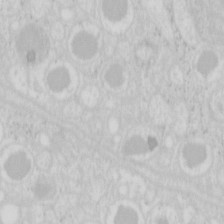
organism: Mouse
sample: Pancreas